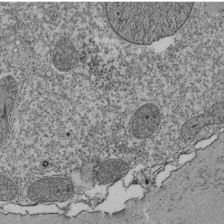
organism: Tetrahymena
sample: Cilia in tetrahymena